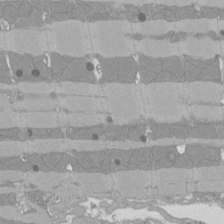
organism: Rat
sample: Left ventricle